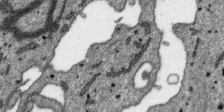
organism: Human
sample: Lung epithelial cells, uninfected (mock) control